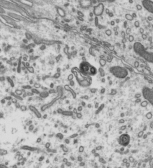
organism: Mouse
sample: Mouse epididymis efferent ductule cilia